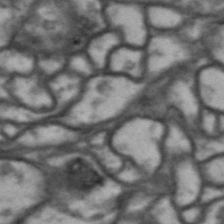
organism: Drosophila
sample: Brain